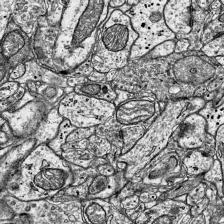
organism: Mouse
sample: Visual Cortex